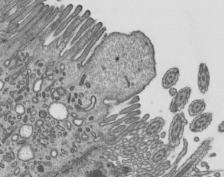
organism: Mouse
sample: Mouse epididymis efferent ductule cilia